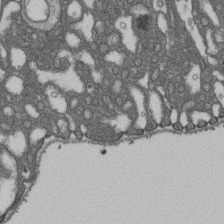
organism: Drosophila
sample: Nephrocyte